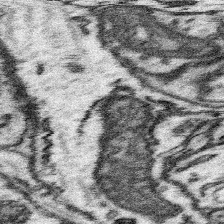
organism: Mouse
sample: Somatosensory cortex neuropil